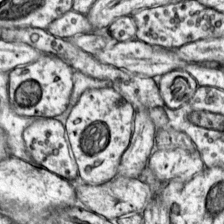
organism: Mouse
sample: Primary visual cortex